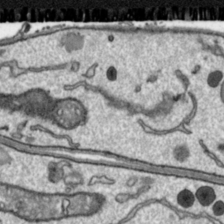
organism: Toxoplasma gondii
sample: Parasites in a vacuole inside a host cell